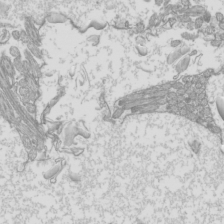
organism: Mouse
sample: Cilia; mouse epididymis